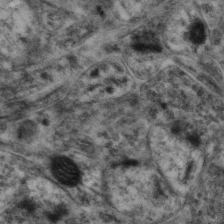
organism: Mouse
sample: Neocortex